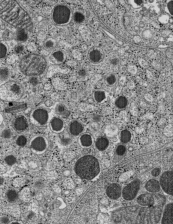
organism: C57BL Mouse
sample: Pancreatic islet